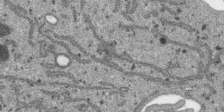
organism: Human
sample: Lung epithelial cells infected with SARS-CoV-2